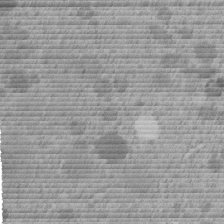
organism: C. elegans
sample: C. elegans embryo early stage